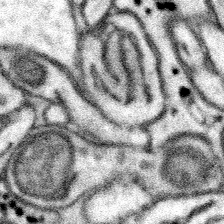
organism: Mouse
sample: Somatosensory cortex neuropil